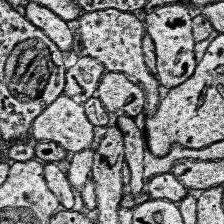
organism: Human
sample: Temporal Lobe